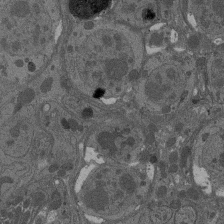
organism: Drosophila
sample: Antenna